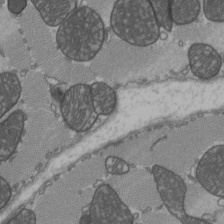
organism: C57BL Mouse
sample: Heart